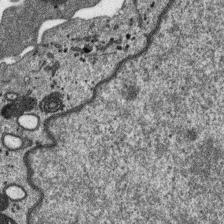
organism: Human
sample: Lung epithelial cells infected with SARS-CoV-2